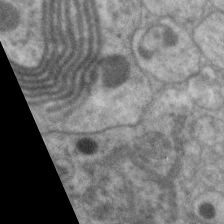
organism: C. elegans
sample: Pharynx